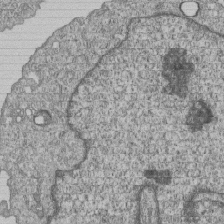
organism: Human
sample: MDA-MB-231 cells